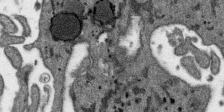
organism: Human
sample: Lung epithelial cells, uninfected (mock) control